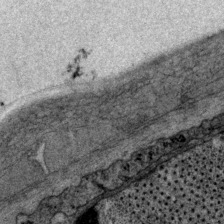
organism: P. pacificus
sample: Pharynx